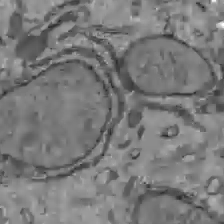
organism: C57BL Mouse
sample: Liver